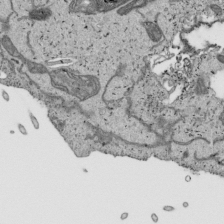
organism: Human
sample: Mitochondria in HCT116 cells